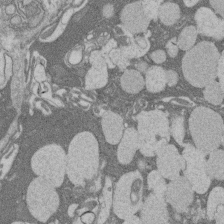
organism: Rat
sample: Salivary granule